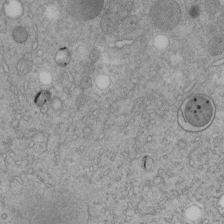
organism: C. elegans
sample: C. elegans embryo early stage